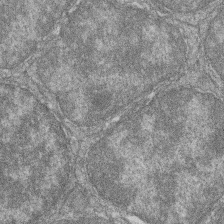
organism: Zebrafish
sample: Cilia; retinal pigment epithelium